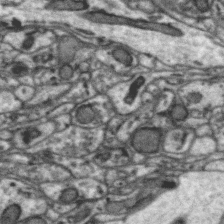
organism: Zebra finch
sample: Brain